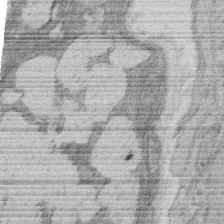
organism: Rat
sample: Salivary granule